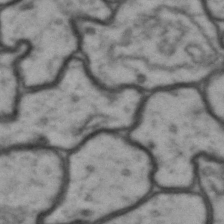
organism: Drosophila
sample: Brain